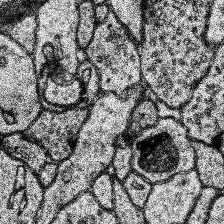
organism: Human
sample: Temporal Lobe